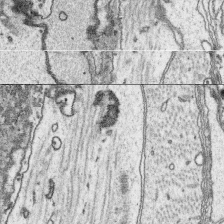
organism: Platynereis dumerilii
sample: Parapodia